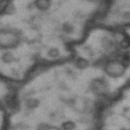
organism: Drosophila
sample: Brain